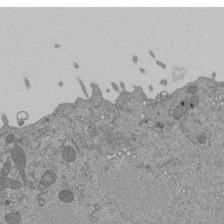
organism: Mouse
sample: ED-1 cell nuclei; centrioles